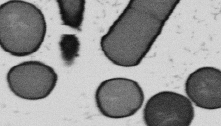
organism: B. subtilis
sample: Bacterial spore